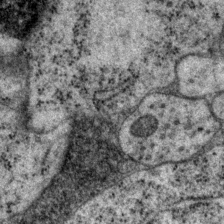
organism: P. pacificus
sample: Pharynx